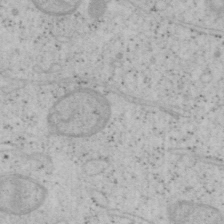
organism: Human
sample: HeLa cells